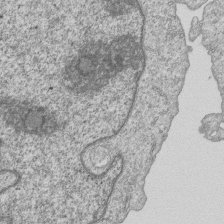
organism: Human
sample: MDA-MB-231 cells